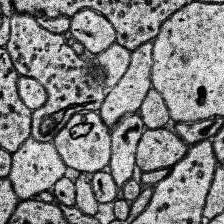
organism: Human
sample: Temporal Lobe